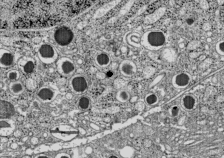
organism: C57BL Mouse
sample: Pancreatic islet